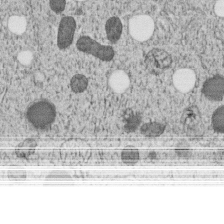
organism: C. elegans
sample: C. elegans embryo early stage